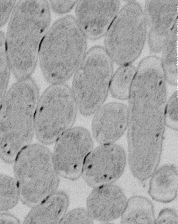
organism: E. coli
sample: Bacterial nucleoid